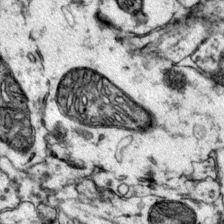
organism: Mouse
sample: Primary visual cortex